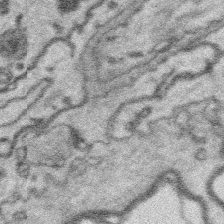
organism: Platynereis dumerilii